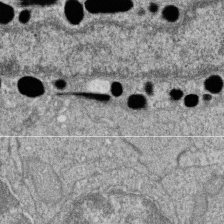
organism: Zebrafish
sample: Cilia; retinal pigment epithelium